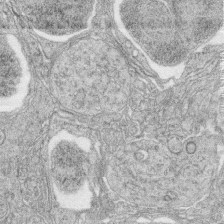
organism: Zebrafish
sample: synaptic ribbons in rod cells and cone cells